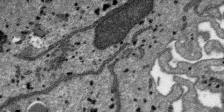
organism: Human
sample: Lung epithelial cells, uninfected (mock) control